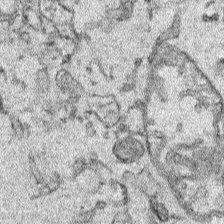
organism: Human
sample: Mitochondria in HCT116 cells